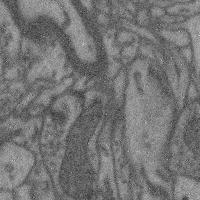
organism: Mouse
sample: Cerebral cortex